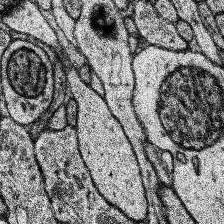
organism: Human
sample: Temporal Lobe